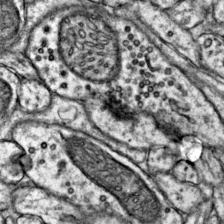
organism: Mouse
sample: Primary visual cortex